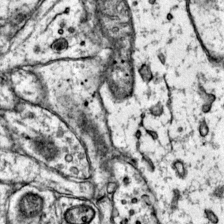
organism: Mouse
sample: Primary visual cortex